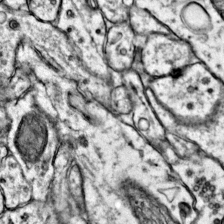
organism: Mouse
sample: Primary visual cortex